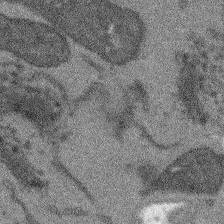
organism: Arabidopsis thaliana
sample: Root tip